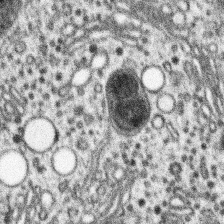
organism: Human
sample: HeLa cells